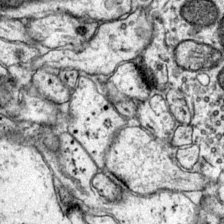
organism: Mouse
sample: Primary visual cortex